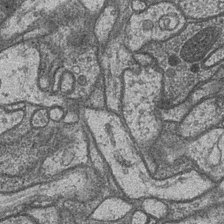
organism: Drosophila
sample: Optic medulla